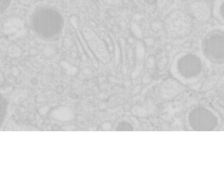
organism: Mouse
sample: Pancreas